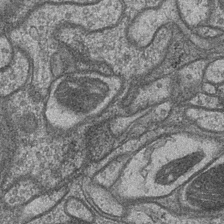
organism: Drosophila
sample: Optic medulla